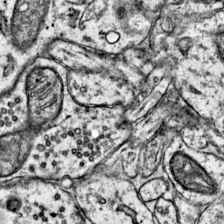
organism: Mouse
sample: Primary visual cortex